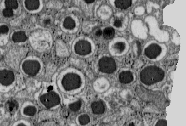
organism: C57BL Mouse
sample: Pancreatic islet